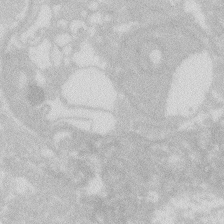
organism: Zebrafish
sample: Macrophage